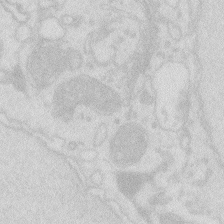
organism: Zebrafish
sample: Macrophage